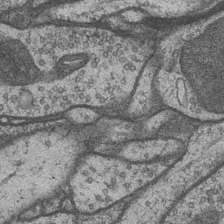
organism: Drosophila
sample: Optic medulla